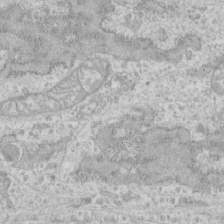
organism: Human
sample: CRL-1474